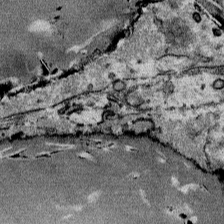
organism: Mouse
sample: Mouse Salivary gland